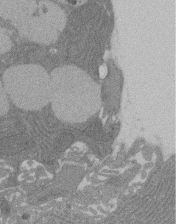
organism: Rat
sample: Salivary granule